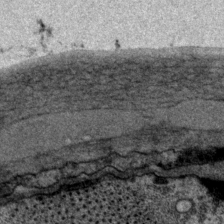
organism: P. pacificus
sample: Pharynx